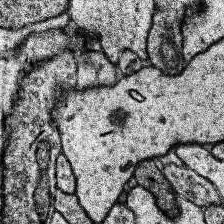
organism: Human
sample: Temporal Lobe